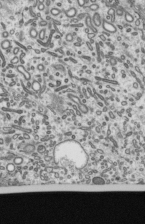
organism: Mouse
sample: Mouse epididymis efferent ductule cilia